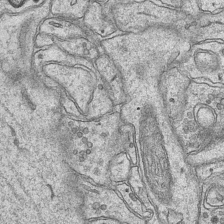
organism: Mouse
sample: CA1 Hippocampus